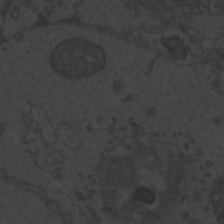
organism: Zebrafish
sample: Macrophage infected with Toxoplasma gondii